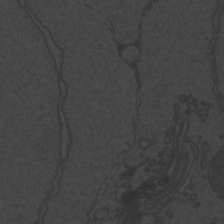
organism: Zebrafish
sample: Macrophage infected with Toxoplasma gondii